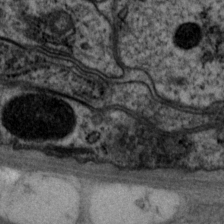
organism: P. pacificus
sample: Pharynx